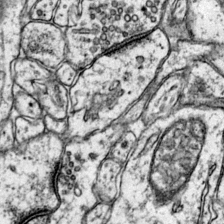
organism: Mouse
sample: Primary visual cortex